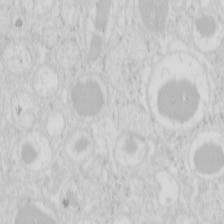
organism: Mouse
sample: Pancreas